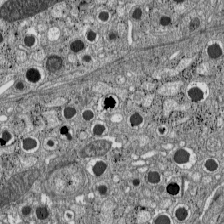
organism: C57BL Mouse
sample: Pancreatic islet